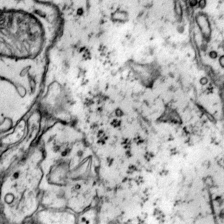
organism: Mouse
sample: Primary visual cortex